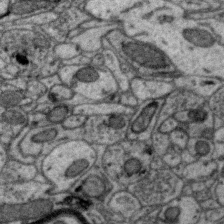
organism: Zebra finch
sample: Brain